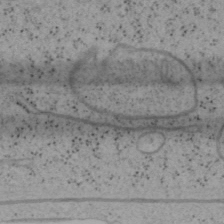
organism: Human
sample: HeLa cells